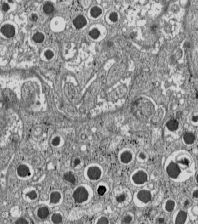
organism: C57BL Mouse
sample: Pancreatic islet